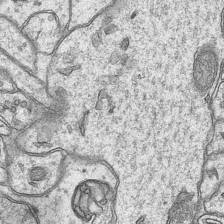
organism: Mouse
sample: CA1 Hippocampus